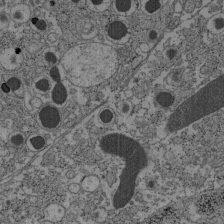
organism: C57BL Mouse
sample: Pancreatic islet